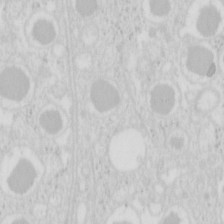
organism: Mouse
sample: Pancreas